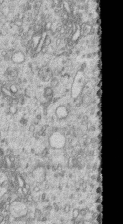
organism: Human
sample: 1205lu cells